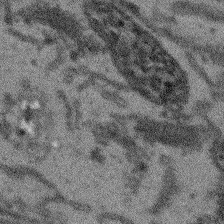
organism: Arabidopsis thaliana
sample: Root tip